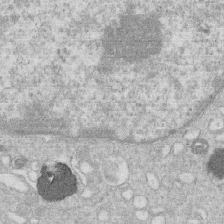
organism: Human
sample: Macrophage cells